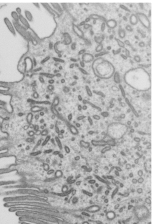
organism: Mouse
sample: Mouse epididymis efferent ductule cilia